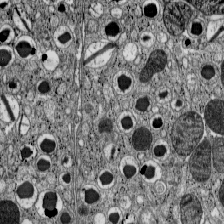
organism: C57BL Mouse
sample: Pancreatic islet